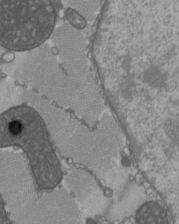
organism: C57BL Mouse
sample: Heart